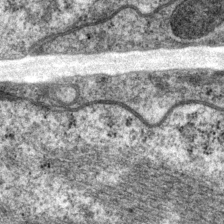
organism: P. pacificus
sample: Pharynx